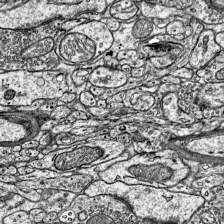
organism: Mouse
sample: Visual Cortex